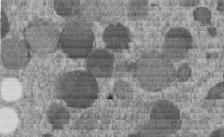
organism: C. elegans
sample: C. elegans embryo early stage